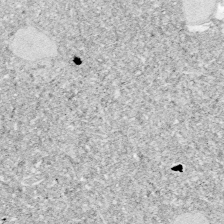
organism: Zebrafish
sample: Whole-Brain